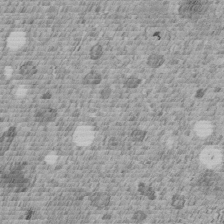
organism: C. elegans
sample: C. elegans embryo early stage